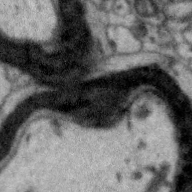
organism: Zebra finch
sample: Brain